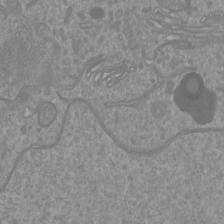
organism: Mouse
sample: Cortical neurons